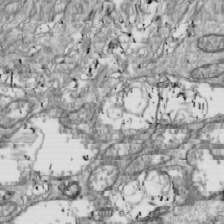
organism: Drosophila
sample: Cell division; meiosis; drosophila spermatocytes